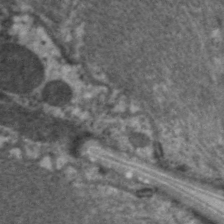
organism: C. elegans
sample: Pharynx